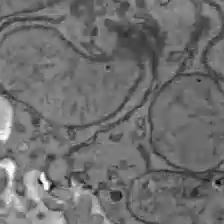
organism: C57BL Mouse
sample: Liver